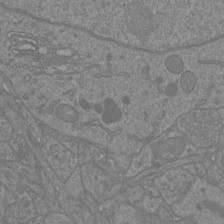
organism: Mouse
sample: Cortical neurons